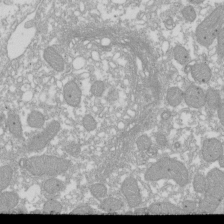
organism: Xenopus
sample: Cilia; centrioles in frog embryo cells